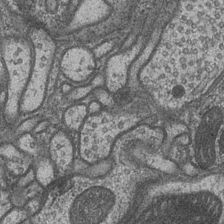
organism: Drosophila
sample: Optic medulla